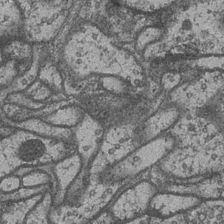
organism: Drosophila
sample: Optic medulla